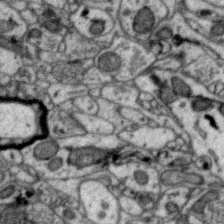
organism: Zebra finch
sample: Brain